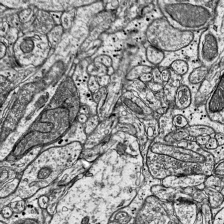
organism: Mouse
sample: Visual Cortex